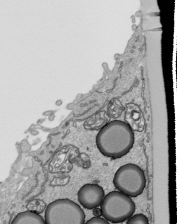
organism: Human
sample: Mitochondria in HCT116 cells